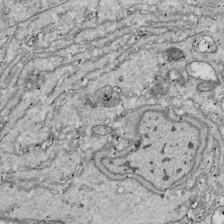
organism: Drosophila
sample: Cell division; meiosis; drosophila spermatocytes